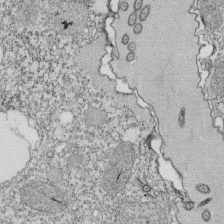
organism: Tetrahymena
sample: Cilia in tetrahymena